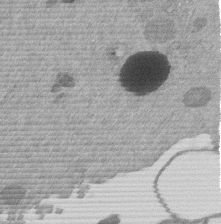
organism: Mouse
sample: Dividing mouse embryo 1 cell stage